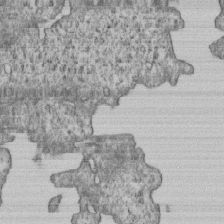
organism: Human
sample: MDA-MB-231 cells